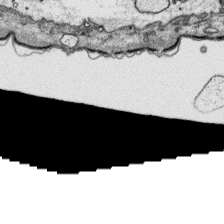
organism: Platynereis dumerilii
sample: Parapodia